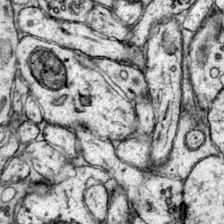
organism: Mouse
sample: Primary visual cortex